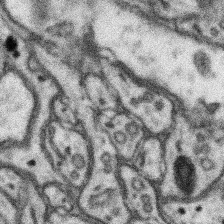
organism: Mouse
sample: Somatosensory cortex neuropil